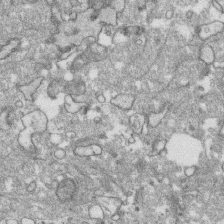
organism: Human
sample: CRL-1474